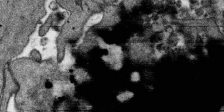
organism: Human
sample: Lung epithelial cells, uninfected (mock) control